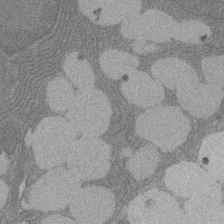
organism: Rat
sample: Salivary granule